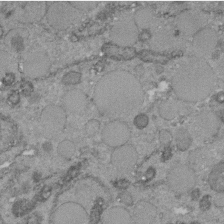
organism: C. elegans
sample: C. elegans embryo early stage